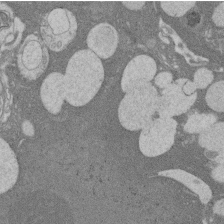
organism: Rat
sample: Salivary granule